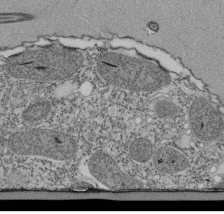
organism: Tetrahymena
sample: Cilia in tetrahymena